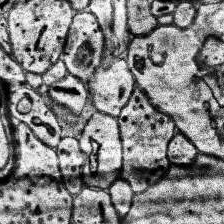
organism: Human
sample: Temporal Lobe